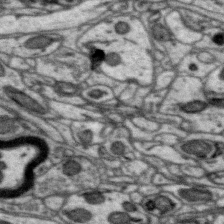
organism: Zebra finch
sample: Brain